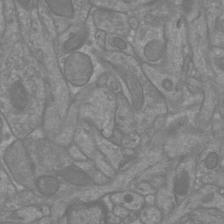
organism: Mouse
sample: Cortical neurons